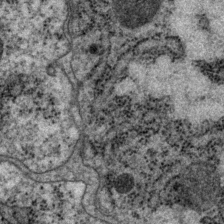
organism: P. pacificus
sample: Pharynx